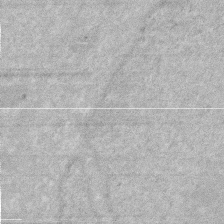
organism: Human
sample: HIV infected U937 cells